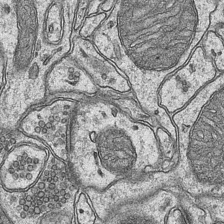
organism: Mouse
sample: CA1 Hippocampus